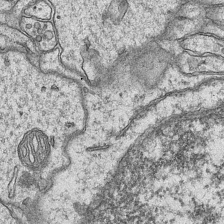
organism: Mouse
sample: CA1 Hippocampus